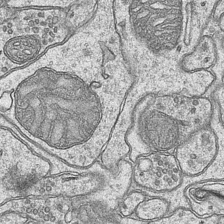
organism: Mouse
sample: CA1 Hippocampus